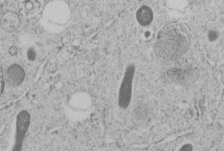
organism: C. elegans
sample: C. elegans embryo early stage